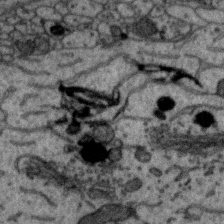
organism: Zebra finch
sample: Brain